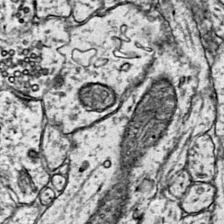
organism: Mouse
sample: Primary visual cortex